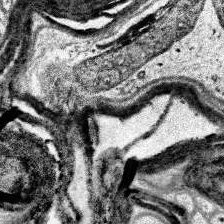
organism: Human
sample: Temporal Lobe